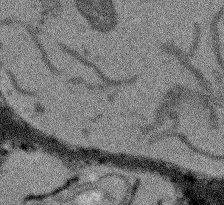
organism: Arabidopsis thaliana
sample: Root tip